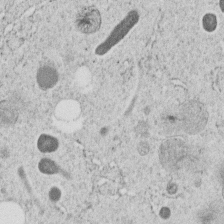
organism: C. elegans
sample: C. elegans embryo early stage